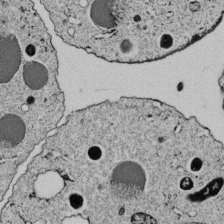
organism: C. elegans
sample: C. elegans embryo early stage